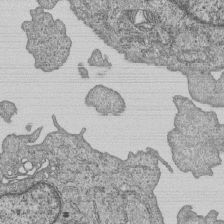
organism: Human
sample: MDA-MB-231 cells